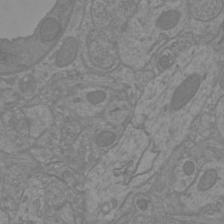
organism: Mouse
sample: Cortical neurons